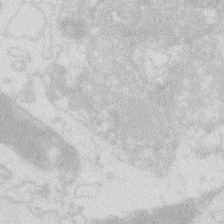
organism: Zebrafish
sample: Macrophage